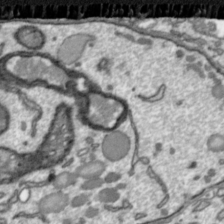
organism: Toxoplasma gondii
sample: Parasites in a vacuole inside a host cell